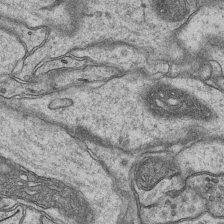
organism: Mouse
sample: CA1 Hippocampus